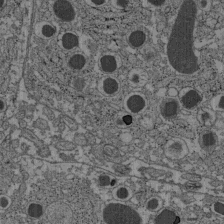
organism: C57BL Mouse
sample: Pancreatic islet